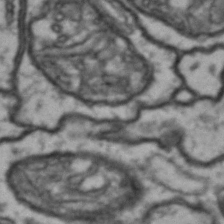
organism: Drosophila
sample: Brain